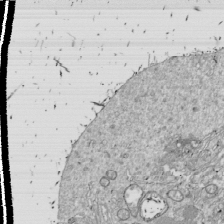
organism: Drosophila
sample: Cell division; meiosis; drosophila spermatocytes